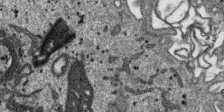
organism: Human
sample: Lung epithelial cells infected with SARS-CoV-2